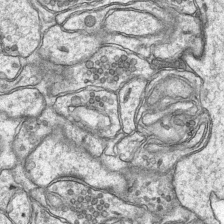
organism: Mouse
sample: CA1 Hippocampus